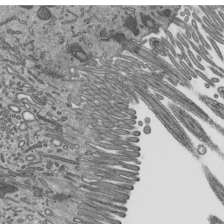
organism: Mouse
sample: Mouse epididymis efferent ductule cilia